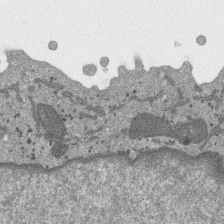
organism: Human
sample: Lung epithelial cells infected with SARS-CoV-2